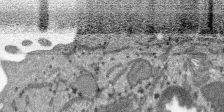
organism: Human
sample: Lung epithelial cells infected with SARS-CoV-2